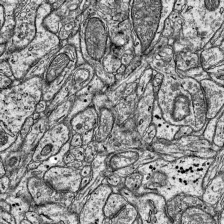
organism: Mouse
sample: Visual Cortex